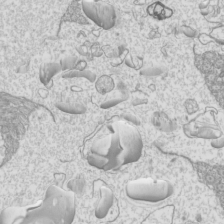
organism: Mouse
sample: Cilia; mouse epididymis